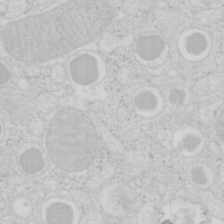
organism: Mouse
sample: Pancreas